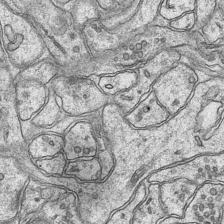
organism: Mouse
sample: CA1 Hippocampus